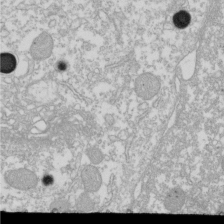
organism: Xenopus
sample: Cilia; centrioles in frog embryo cells